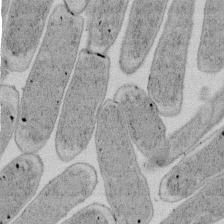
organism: E. coli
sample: Bacterial nucleoid